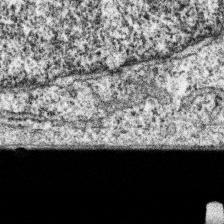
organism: Human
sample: HeLa cells